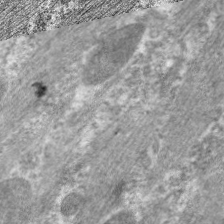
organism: C. elegans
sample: Pharynx